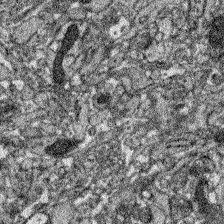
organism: Zebrafish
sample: Larval olfactory bulb